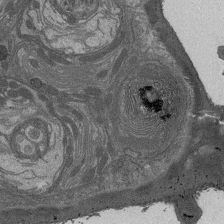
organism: Drosophila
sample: Antenna